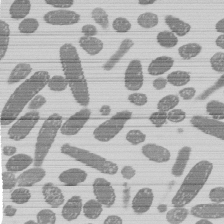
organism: E. coli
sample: Bacterial nucleoid